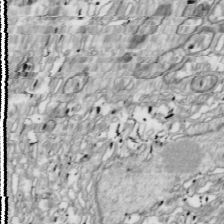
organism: Drosophila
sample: Cell division; meiosis; drosophila spermatocytes